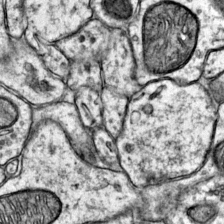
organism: Mouse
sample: Primary visual cortex